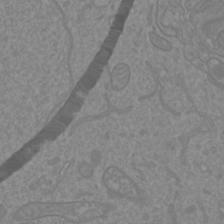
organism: Mouse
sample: Cortical neurons